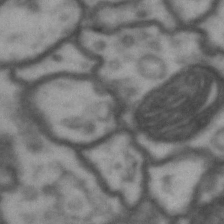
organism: Drosophila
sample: Brain